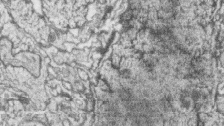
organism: Zebrafish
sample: synaptic ribbons in rod cells and cone cells